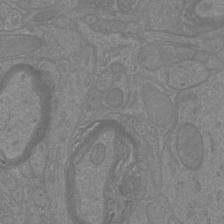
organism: Mouse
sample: Cortical neurons